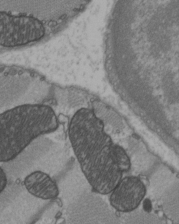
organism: C57BL Mouse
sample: Heart